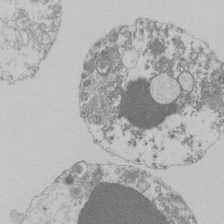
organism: Mouse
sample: Activated Pmel transgenic CD8+ T Cells